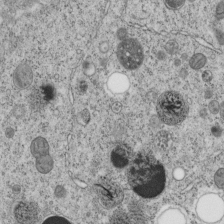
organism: C. elegans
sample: C. elegans embryo early stage